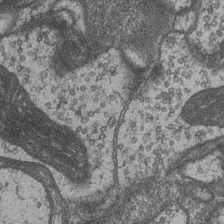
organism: Drosophila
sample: Optic medulla